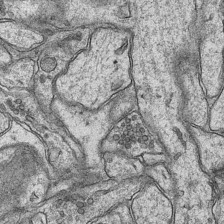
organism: Mouse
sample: CA1 Hippocampus